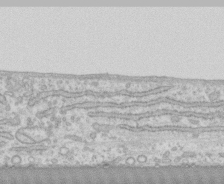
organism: Human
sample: CRL-1474